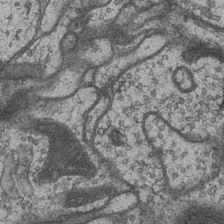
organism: Drosophila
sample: Optic medulla